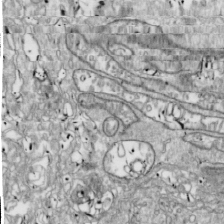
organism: Drosophila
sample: Cell division; meiosis; drosophila spermatocytes